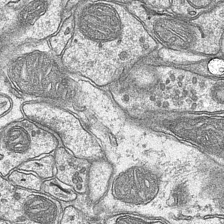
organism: Mouse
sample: CA1 Hippocampus